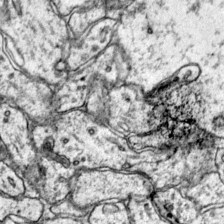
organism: Mouse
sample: Primary visual cortex